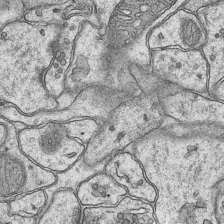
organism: Mouse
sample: CA1 Hippocampus